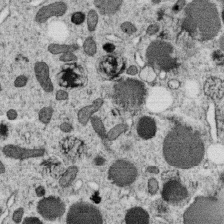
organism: C. elegans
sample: C. elegans oocyte; sperm cells